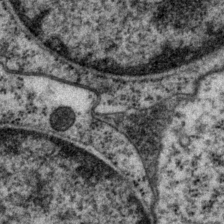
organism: P. pacificus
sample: Pharynx